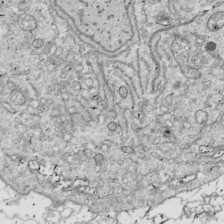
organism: Drosophila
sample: Cell division; meiosis; drosophila spermatocytes